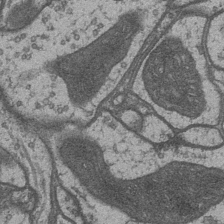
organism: Drosophila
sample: Optic medulla